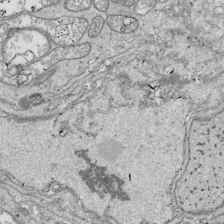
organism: Drosophila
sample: Cell division; meiosis; drosophila spermatocytes